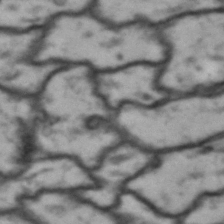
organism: Drosophila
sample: Brain